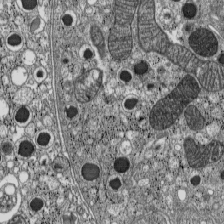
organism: C57BL Mouse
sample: Pancreatic islet